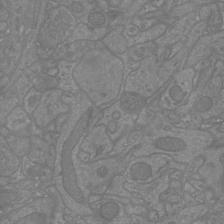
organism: Mouse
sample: Cortical neurons